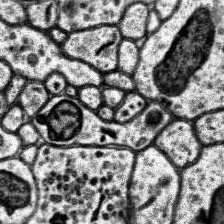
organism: Human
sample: Temporal Lobe